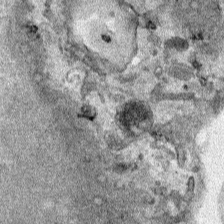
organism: Human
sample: Mitochondria in HCT116 cells